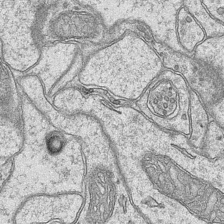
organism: Mouse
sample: CA1 Hippocampus